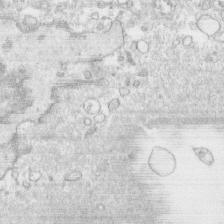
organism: Human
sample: CRL-1474